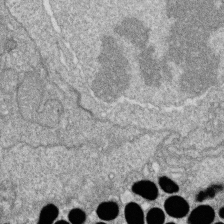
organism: Zebrafish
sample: Cilia; retinal pigment epithelium